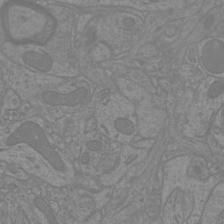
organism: Mouse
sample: Cortical neurons